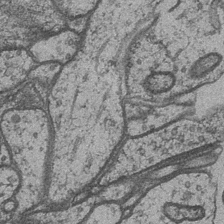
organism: Drosophila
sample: Optic medulla